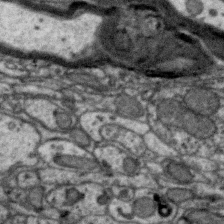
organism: Zebra finch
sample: Brain